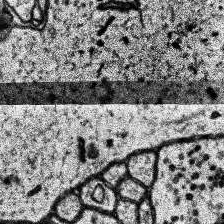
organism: Human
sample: Temporal Lobe